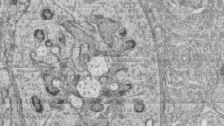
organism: Zebrafish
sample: synaptic ribbons in rod cells and cone cells